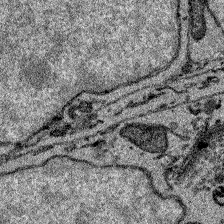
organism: Zebrafish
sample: Larval olfactory bulb